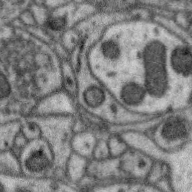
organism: Zebra finch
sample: Brain